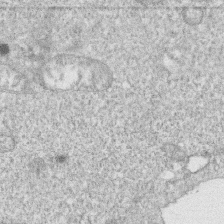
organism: Human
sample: HeLa cell HIV synapse